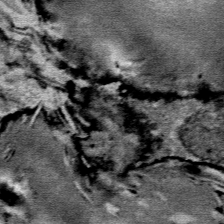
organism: Mouse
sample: Mouse Salivary gland